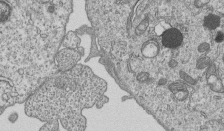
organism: Human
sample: MDA-MB-231 cells